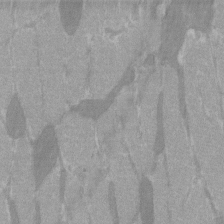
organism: C57BL Mouse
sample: Tibialis anterior muscle cell